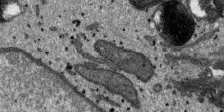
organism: Human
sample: Lung epithelial cells, uninfected (mock) control